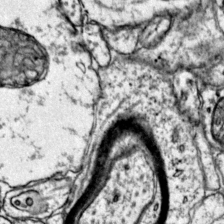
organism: Mouse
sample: Primary visual cortex